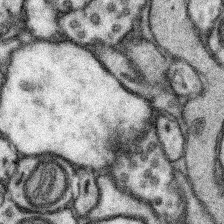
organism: Mouse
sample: Somatosensory cortex neuropil